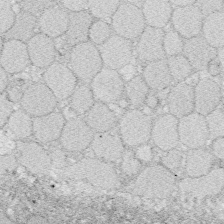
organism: Zebrafish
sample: Whole-Brain